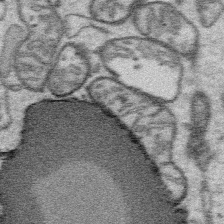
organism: Platynereis dumerilii